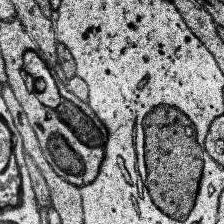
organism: Human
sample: Temporal Lobe